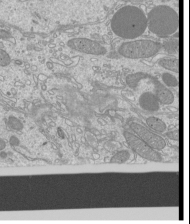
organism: Mouse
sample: Cilia; mouse epididymis